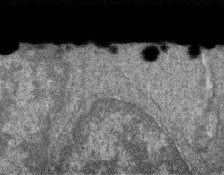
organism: Zebrafish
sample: Cilia; retinal pigment epithelium